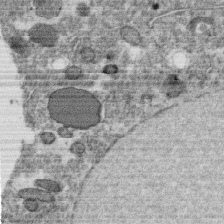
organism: C. elegans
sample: C. elegans oocyte; sperm cells